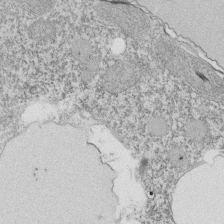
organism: Tetrahymena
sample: Cilia in tetrahymena